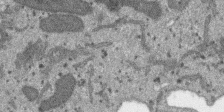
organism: Human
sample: Lung epithelial cells infected with SARS-CoV-2